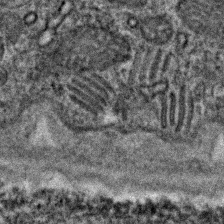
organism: C. elegans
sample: C. elegans embryo